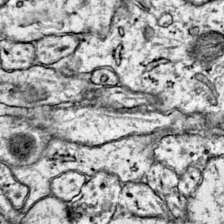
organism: Mouse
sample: Primary visual cortex